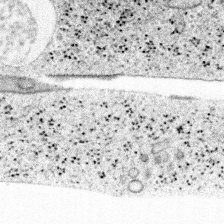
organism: Human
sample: HeLa cells